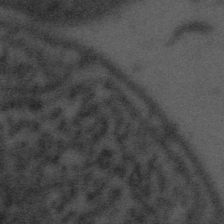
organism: Tuwongella immobilis